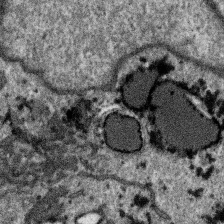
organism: Human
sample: Lung epithelial cells infected with SARS-CoV-2